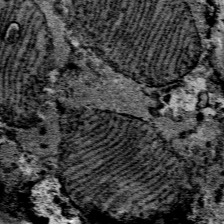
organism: Mouse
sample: Mouse Salivary gland